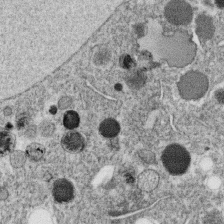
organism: C. elegans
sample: C. elegans oocyte; sperm cells